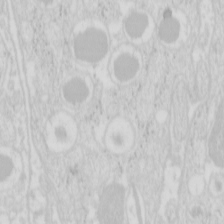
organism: Mouse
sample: Pancreas